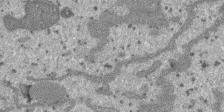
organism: Human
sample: Lung epithelial cells infected with SARS-CoV-2